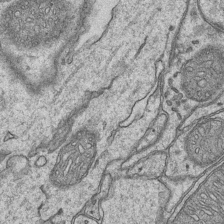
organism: Mouse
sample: CA1 Hippocampus